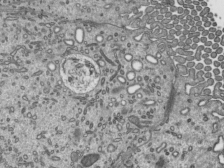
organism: Mouse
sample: Mouse epididymis efferent ductule cilia